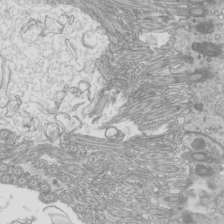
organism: Mouse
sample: Cilia; mouse epididymis